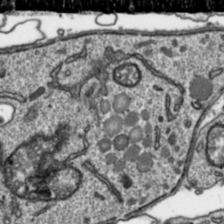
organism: Toxoplasma gondii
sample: Parasites in a vacuole inside a host cell